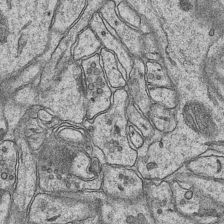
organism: Mouse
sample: CA1 Hippocampus